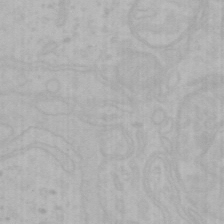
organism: Mouse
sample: Choroid plexus